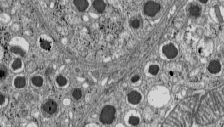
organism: C57BL Mouse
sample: Pancreatic islet